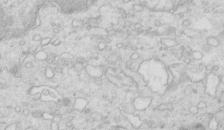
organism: Mouse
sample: Multiciliated cells